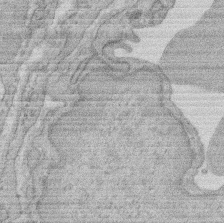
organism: Rat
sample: Salivary granule